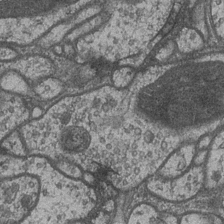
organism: Drosophila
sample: Optic medulla